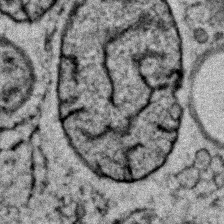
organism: Zebrafish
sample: Zebrafish embryo